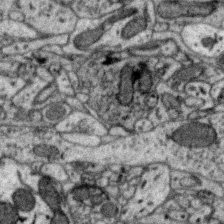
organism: Zebra finch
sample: Brain